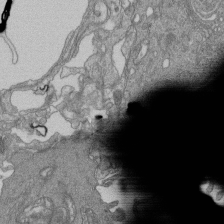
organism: Human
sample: Retinal organoid Rod and Cone cells